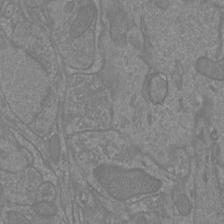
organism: Mouse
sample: Cortical neurons